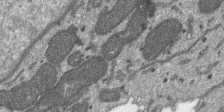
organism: Human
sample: Lung epithelial cells infected with SARS-CoV-2